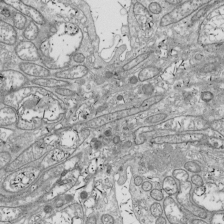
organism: Drosophila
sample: Cell division; meiosis; drosophila spermatocytes